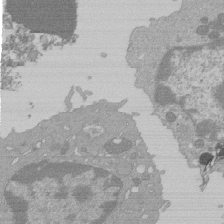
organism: Mouse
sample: Activated Pmel transgenic CD8+ T Cells